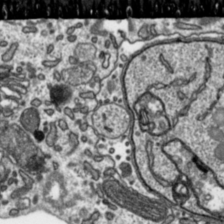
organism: Toxoplasma gondii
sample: Parasites in a vacuole inside a host cell